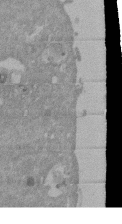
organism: Mouse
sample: ED-1 cell nuclei; centrioles